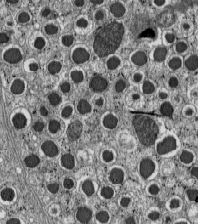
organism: C57BL Mouse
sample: Pancreatic islet